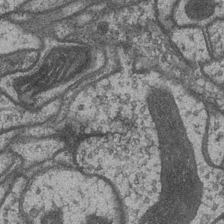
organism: Drosophila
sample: Optic medulla